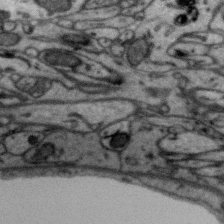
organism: Zebra finch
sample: Brain